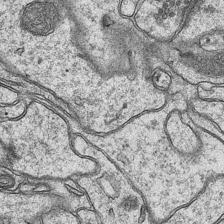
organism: Mouse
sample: CA1 Hippocampus